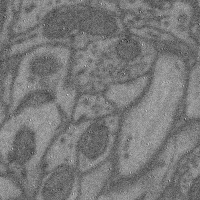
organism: Mouse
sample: Cerebral cortex